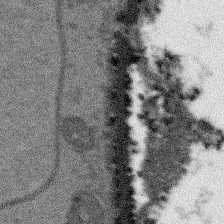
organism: Arabidopsis thaliana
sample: Root tip